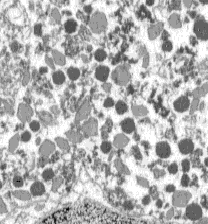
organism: C57BL Mouse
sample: Pancreatic islet